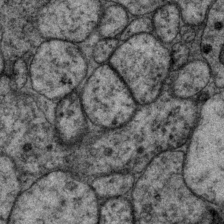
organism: P. pacificus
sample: Pharynx